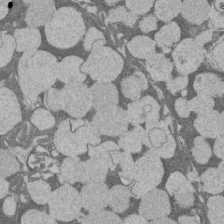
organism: Rat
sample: Salivary granule